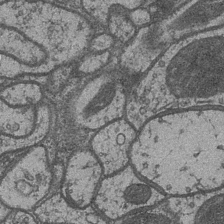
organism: Drosophila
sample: Optic medulla